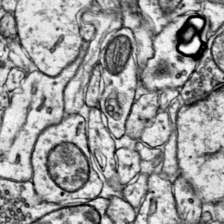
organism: Mouse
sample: Primary visual cortex